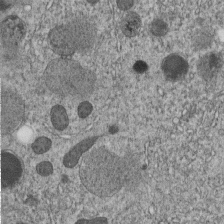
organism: C. elegans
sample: C. elegans embryo early stage